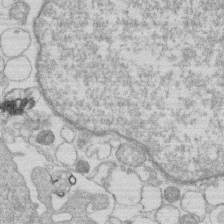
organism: Human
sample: Macrophage cells